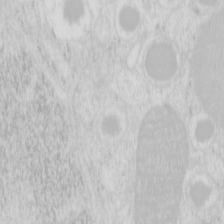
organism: Mouse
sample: Pancreas